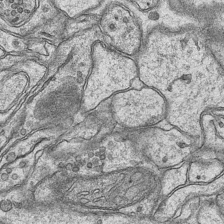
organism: Mouse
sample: CA1 Hippocampus